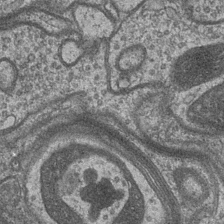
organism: Drosophila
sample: Optic medulla